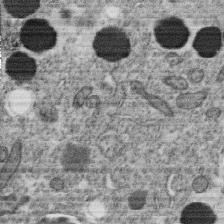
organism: C. elegans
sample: C. elegans oocyte; sperm cells